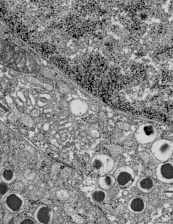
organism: C57BL Mouse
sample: Pancreatic islet